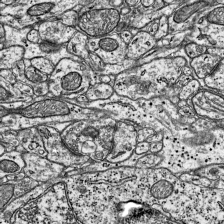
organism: Mouse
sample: Visual Cortex